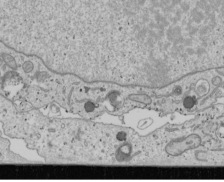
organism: Human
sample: Mitochondria in U2OS cells